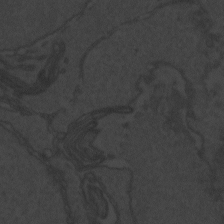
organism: Zebrafish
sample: Macrophage infected with Toxoplasma gondii